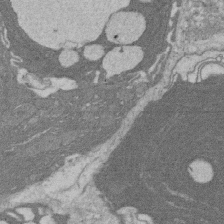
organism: Rat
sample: Salivary granule